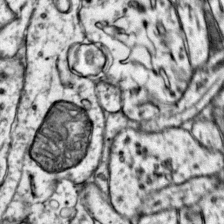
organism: Mouse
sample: Primary visual cortex